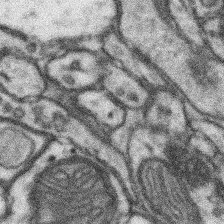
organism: Mouse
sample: Somatosensory cortex neuropil